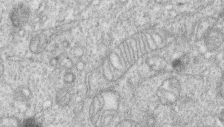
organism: Human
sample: HeLa cell HIV synapse